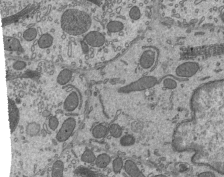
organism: Mouse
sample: Mouse epididymis efferent ductule cilia